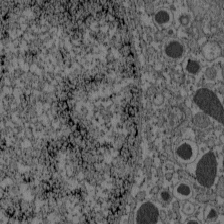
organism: C57BL Mouse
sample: Pancreatic islet